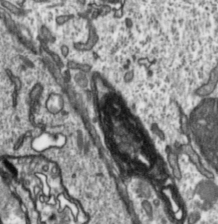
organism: Toxoplasma gondii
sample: Parasites in a vacuole inside a host cell